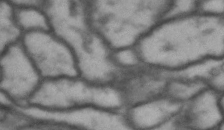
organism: Drosophila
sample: Brain